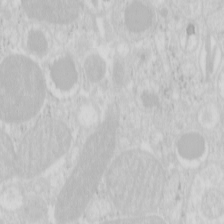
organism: Mouse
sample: Pancreas